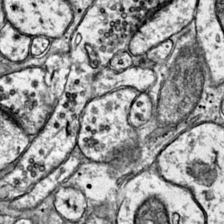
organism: Mouse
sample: Primary visual cortex